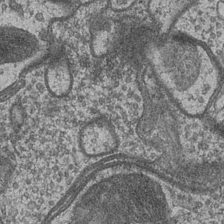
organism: Drosophila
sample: Optic medulla